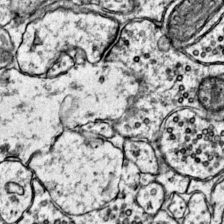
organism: Mouse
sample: Primary visual cortex